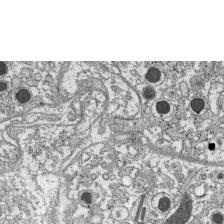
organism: C57BL Mouse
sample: Pancreatic islet